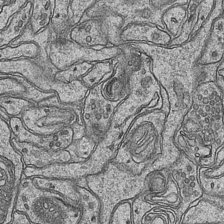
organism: Mouse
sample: CA1 Hippocampus